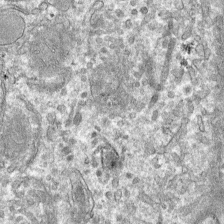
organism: Mouse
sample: Mouse hepatocytes